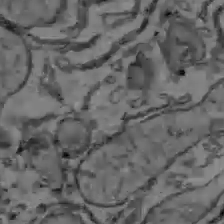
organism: C57BL Mouse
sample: Liver